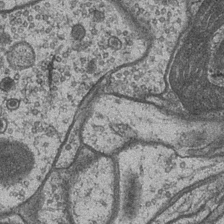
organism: Drosophila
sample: Optic medulla